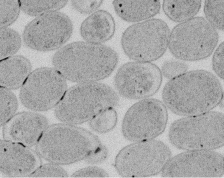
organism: E. coli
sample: Bacterial nucleoid